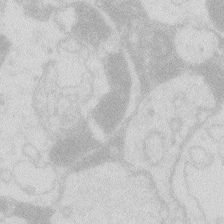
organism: Zebrafish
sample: Macrophage